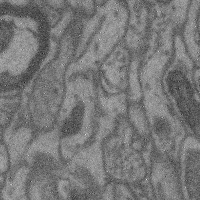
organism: Mouse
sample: Cerebral cortex